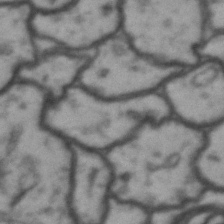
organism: Drosophila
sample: Brain